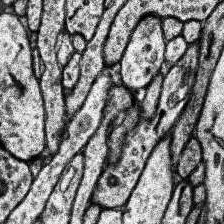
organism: Human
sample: Temporal Lobe